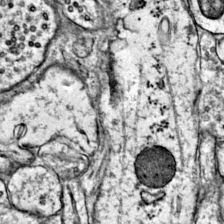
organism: Mouse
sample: Primary visual cortex